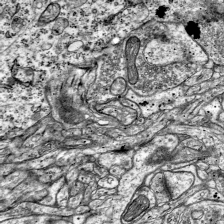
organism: Mouse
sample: Visual Cortex